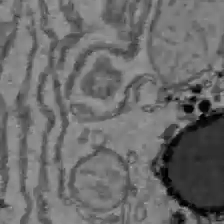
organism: C57BL Mouse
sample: Liver